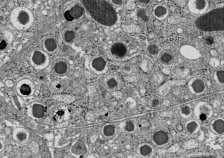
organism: C57BL Mouse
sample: Pancreatic islet